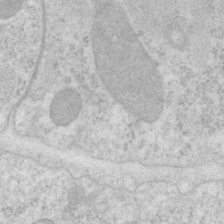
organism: P. pacificus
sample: Pharynx